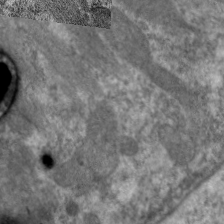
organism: C. elegans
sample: Pharynx